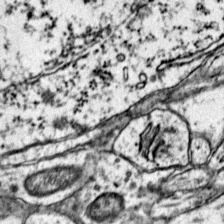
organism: Mouse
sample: Primary visual cortex